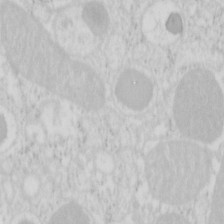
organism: Mouse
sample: Pancreas